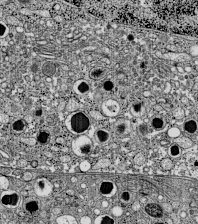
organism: C57BL Mouse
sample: Pancreatic islet